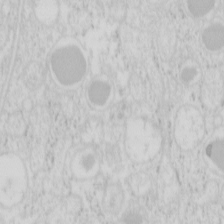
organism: Mouse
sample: Pancreas